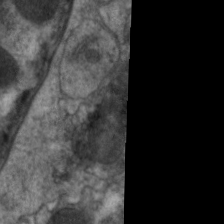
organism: C. elegans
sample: Pharynx